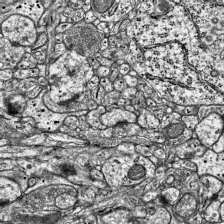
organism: Mouse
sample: Visual Cortex